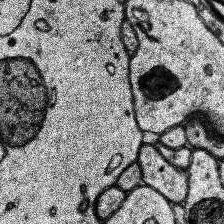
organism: Human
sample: Temporal Lobe